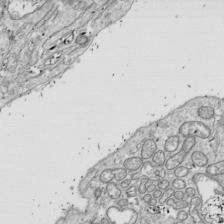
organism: Drosophila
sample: Cell division; meiosis; drosophila spermatocytes